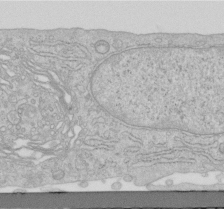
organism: Human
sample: Centriole in RPE cells